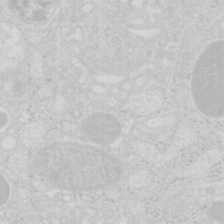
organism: Mouse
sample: Pancreas